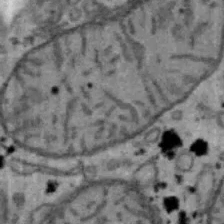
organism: Mouse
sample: Liver